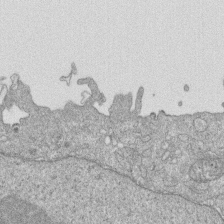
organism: Human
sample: HeLa cell HIV synapse